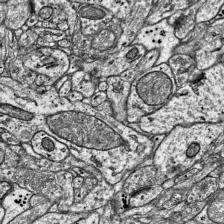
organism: Mouse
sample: Visual Cortex